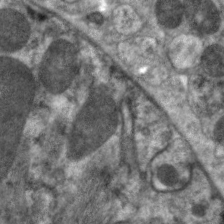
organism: C. elegans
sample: Pharynx